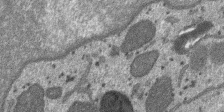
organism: Human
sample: Lung epithelial cells infected with SARS-CoV-2